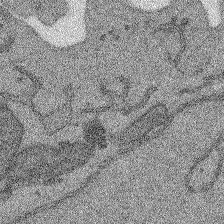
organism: Human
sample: HeLa cells